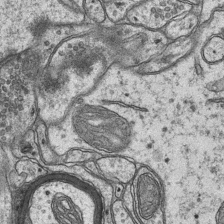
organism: Mouse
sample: CA1 Hippocampus